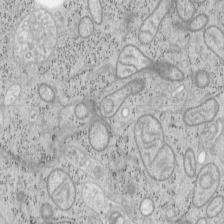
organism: Mouse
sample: OT-I killer T cells with ID8 ovarian cancer cells